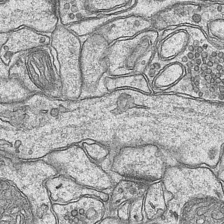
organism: Mouse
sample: CA1 Hippocampus